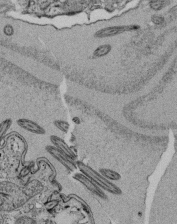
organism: Tetrahymena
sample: Cilia in tetrahymena